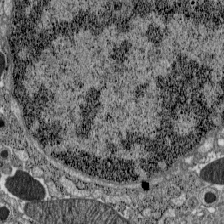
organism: C57BL Mouse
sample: Pancreatic islet